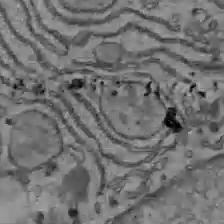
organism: C57BL Mouse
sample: Liver